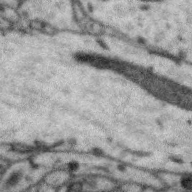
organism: Zebra finch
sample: Brain